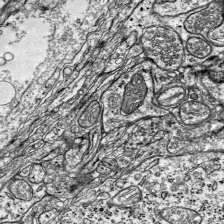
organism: Mouse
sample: Visual Cortex